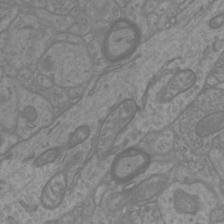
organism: Mouse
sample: Cortical neurons